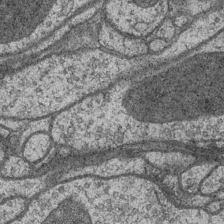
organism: Drosophila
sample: Optic medulla